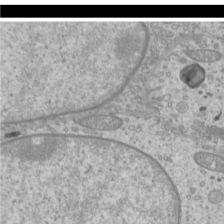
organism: Mouse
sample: Cilia; mouse epididymis